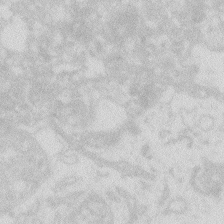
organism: Zebrafish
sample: Macrophage